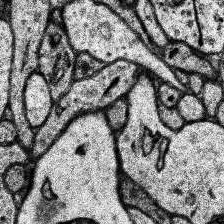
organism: Human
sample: Temporal Lobe